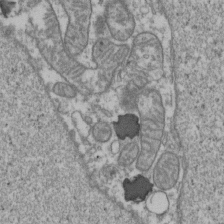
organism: Human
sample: Activated Jurkat CD4+ T cells